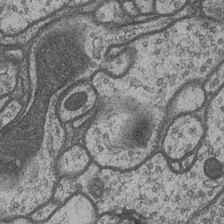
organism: Drosophila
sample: Optic medulla